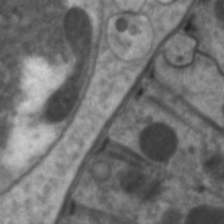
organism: C. elegans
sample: Pharynx